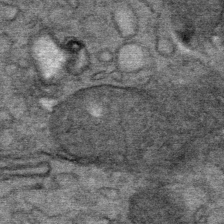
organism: Mouse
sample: Mouse Salivary gland